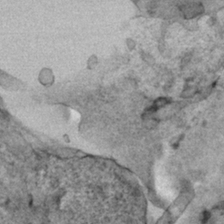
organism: Human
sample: Mitochondria in HCT116 cells